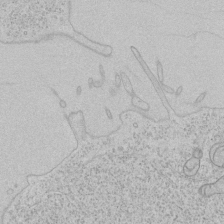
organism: Human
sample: Mitochondria in HCT116 cells